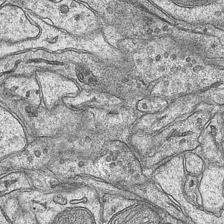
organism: Mouse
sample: CA1 Hippocampus